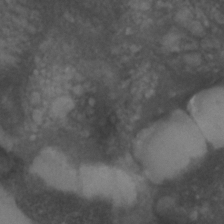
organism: C. elegans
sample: C. elegans embryo